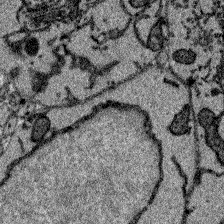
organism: Zebrafish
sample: Larval olfactory bulb